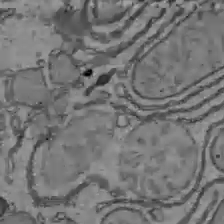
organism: C57BL Mouse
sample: Liver